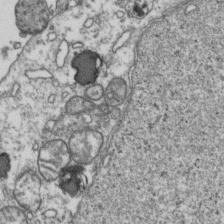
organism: Human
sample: Activated Jurkat CD4+ T cells